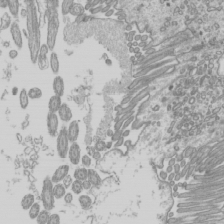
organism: Mouse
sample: Cilia; mouse epididymis